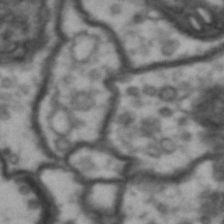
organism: Drosophila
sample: Brain